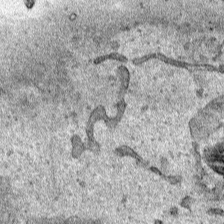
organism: Human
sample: Mitochondria in HCT116 cells